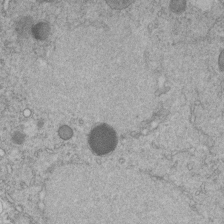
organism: C. elegans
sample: C. elegans embryo early stage